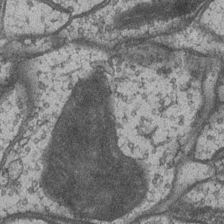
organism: Drosophila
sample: Optic medulla